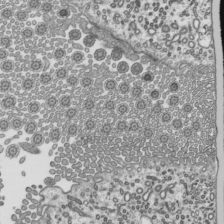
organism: Mouse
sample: Mouse epididymis efferent ductule cilia